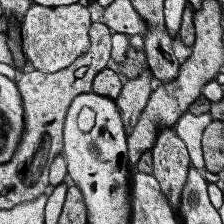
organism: Human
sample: Temporal Lobe